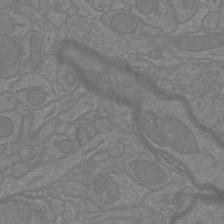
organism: Mouse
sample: Cortical neurons